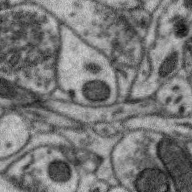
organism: Zebra finch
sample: Brain